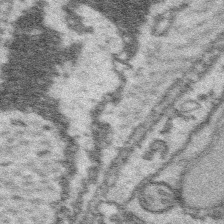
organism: Platynereis dumerilii